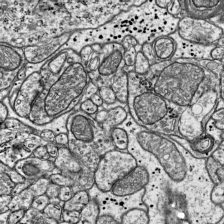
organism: Mouse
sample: Visual Cortex